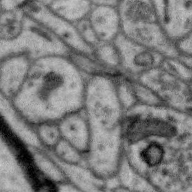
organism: Zebra finch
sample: Brain